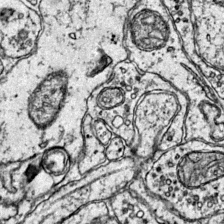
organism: Mouse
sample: Primary visual cortex